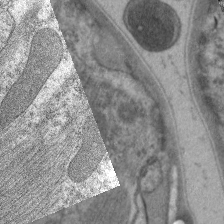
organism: C. elegans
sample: Pharynx